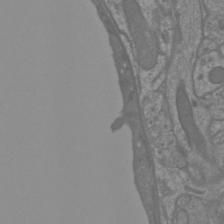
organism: Mouse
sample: Cortical neurons